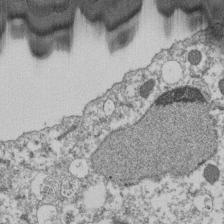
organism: Dictyostelium discoideum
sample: Dictyostelium multivesicular bodies